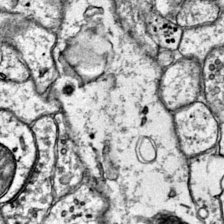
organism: Mouse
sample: Primary visual cortex